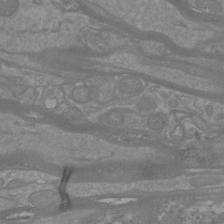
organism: Mouse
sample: Cortical neurons